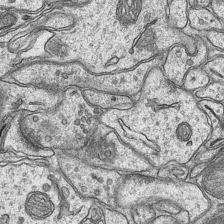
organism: Mouse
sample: CA1 Hippocampus